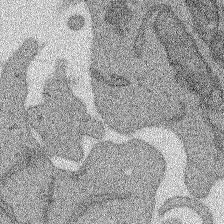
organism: Human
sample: HeLa cells